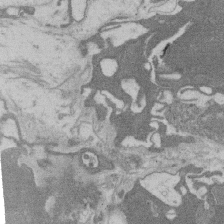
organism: Rat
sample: Salivary granule